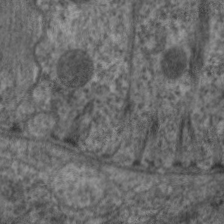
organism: C. elegans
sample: Pharynx